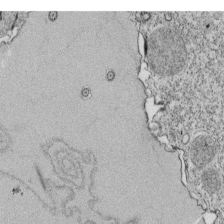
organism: Tetrahymena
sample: Cilia in tetrahymena